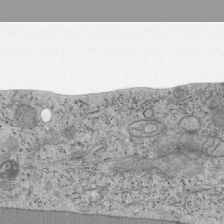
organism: Human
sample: HeLa cells